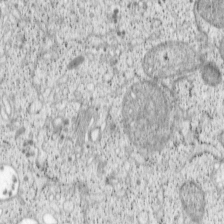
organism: African green monkey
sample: COS-7 cells